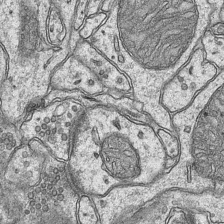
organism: Mouse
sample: CA1 Hippocampus